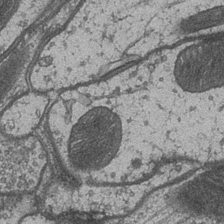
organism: Drosophila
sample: Optic medulla